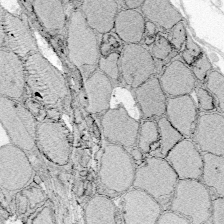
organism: Zebrafish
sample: Whole-Brain